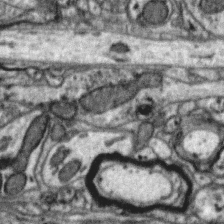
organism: Zebra finch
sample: Brain